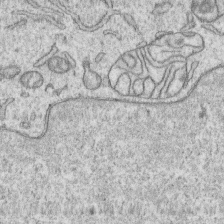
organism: Human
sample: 1205lu cells